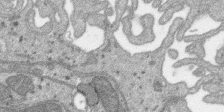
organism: Human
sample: Lung epithelial cells infected with SARS-CoV-2